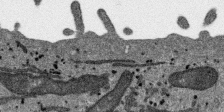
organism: Human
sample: Lung epithelial cells, uninfected (mock) control